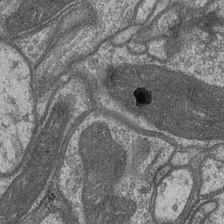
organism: Drosophila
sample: Optic medulla